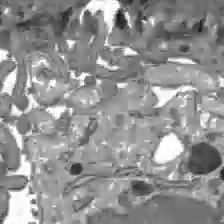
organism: C57BL Mouse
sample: Liver